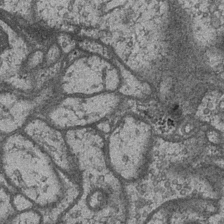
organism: Drosophila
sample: Optic medulla